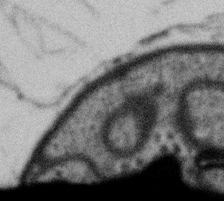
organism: Gemmata obscuriglobus